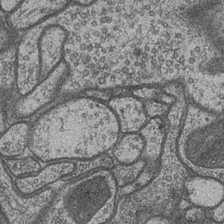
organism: Drosophila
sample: Optic medulla